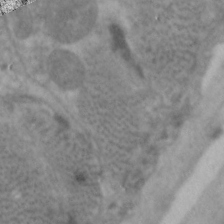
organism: C. elegans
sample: Pharynx